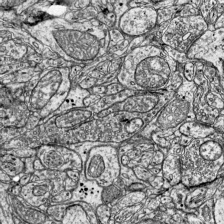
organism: Mouse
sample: Visual Cortex